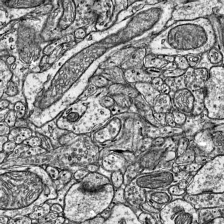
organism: Mouse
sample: Visual Cortex